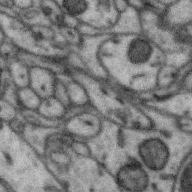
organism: Zebra finch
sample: Brain